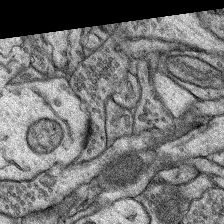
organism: Rat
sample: Hippocampus